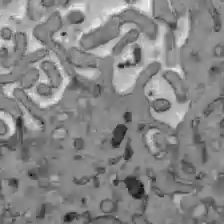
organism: C57BL Mouse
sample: Liver